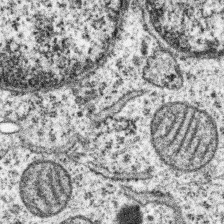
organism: Human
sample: HeLa cells